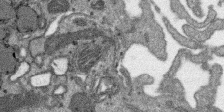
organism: Human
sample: Lung epithelial cells infected with SARS-CoV-2